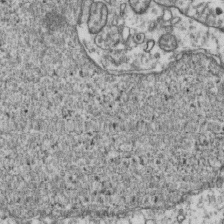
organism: Human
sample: Activated Jurkat CD4+ T cells